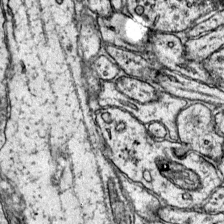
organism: Mouse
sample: Primary visual cortex